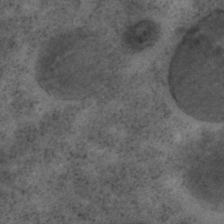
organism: C. elegans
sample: C. elegans embryo